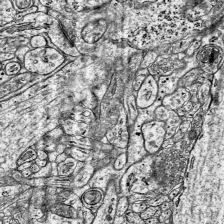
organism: Mouse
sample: Visual Cortex